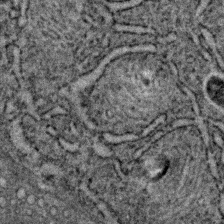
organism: C. elegans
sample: C. elegans embryo